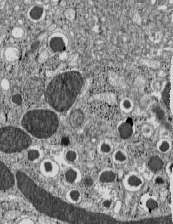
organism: C57BL Mouse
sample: Pancreatic islet